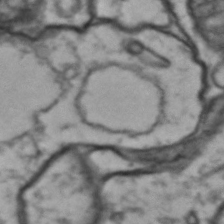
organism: Drosophila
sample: Brain